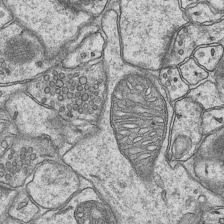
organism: Mouse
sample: CA1 Hippocampus